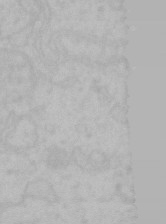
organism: Mouse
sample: Choroid plexus